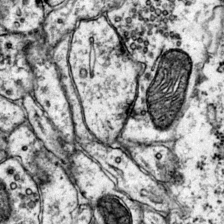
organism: Mouse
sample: Primary visual cortex